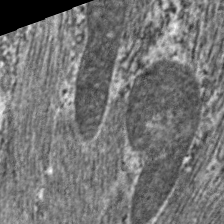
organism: C. elegans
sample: Pharynx